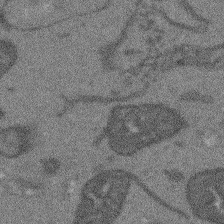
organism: Arabidopsis thaliana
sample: Root tip